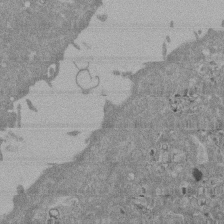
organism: Mouse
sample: ED-1 cell nuclei; centrioles